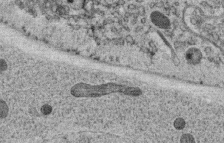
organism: C. elegans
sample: C. elegans oocyte; sperm cells